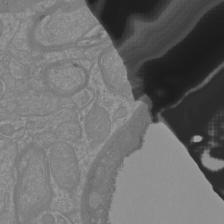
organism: Mouse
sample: Cortical neurons